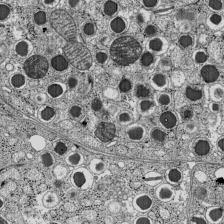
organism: C57BL Mouse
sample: Pancreatic islet